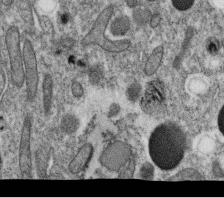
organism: C. elegans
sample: C. elegans oocyte; sperm cells